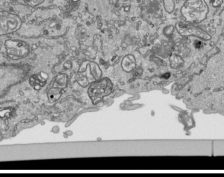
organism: Human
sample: Mitochondria in HCT116 cells